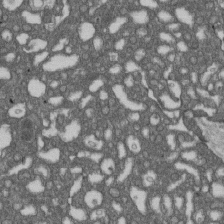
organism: Drosophila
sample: Nephrocyte